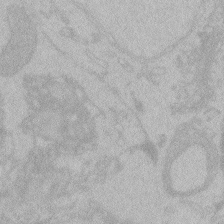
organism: Zebrafish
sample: Macrophage infected with Toxoplasma gondii